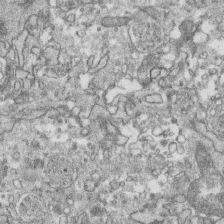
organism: Human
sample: CRL-1474